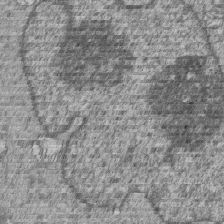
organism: Human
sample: MDA-MB-231 cells